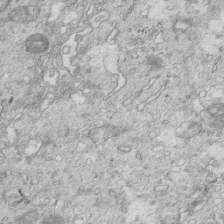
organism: Mouse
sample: Multiciliated cells